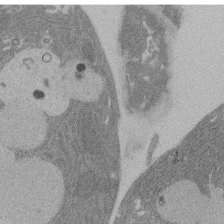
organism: Rat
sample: Salivary granule